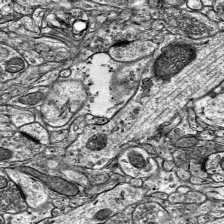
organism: Mouse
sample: Visual Cortex